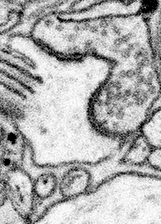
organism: Mouse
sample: Somatosensory cortex neuropil